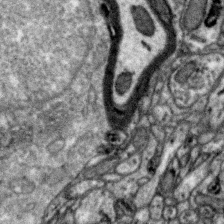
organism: Zebra finch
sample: Brain